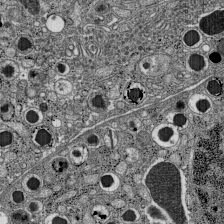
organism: C57BL Mouse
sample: Pancreatic islet